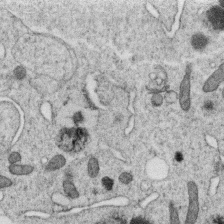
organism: C. elegans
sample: C. elegans oocyte; sperm cells